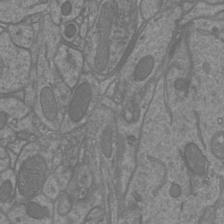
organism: Mouse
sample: Cortical neurons